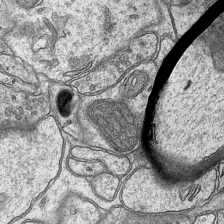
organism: Mouse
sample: CA1 Hippocampus